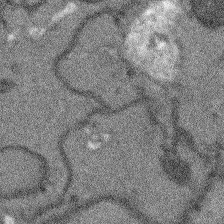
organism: Arabidopsis thaliana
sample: Root tip